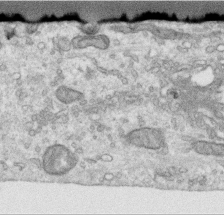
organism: Human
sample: Centriole in RPE cells